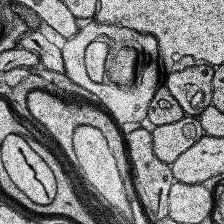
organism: Human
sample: Temporal Lobe